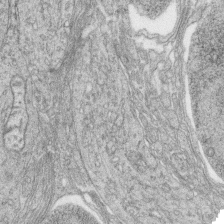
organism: Zebrafish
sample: synaptic ribbons in rod cells and cone cells